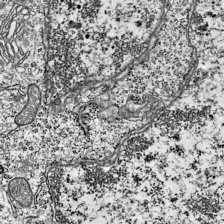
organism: Mouse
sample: Visual Cortex